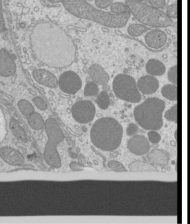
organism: Mouse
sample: Cilia; mouse epididymis